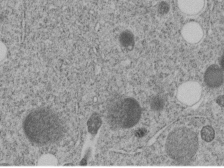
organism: C. elegans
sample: C. elegans embryo early stage